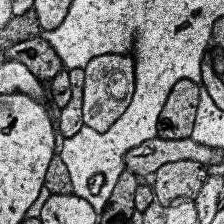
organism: Human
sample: Temporal Lobe